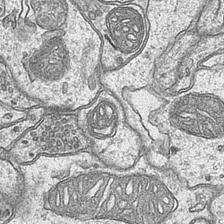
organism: Mouse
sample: CA1 Hippocampus